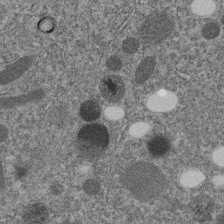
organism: C. elegans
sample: C. elegans embryo early stage